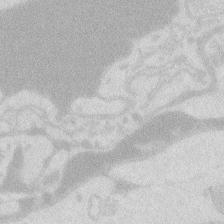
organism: Zebrafish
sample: Macrophage